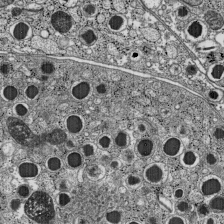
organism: C57BL Mouse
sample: Pancreatic islet